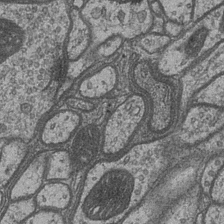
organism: Drosophila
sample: Optic medulla